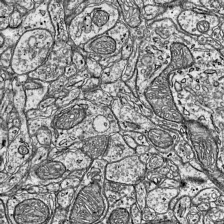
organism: Mouse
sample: Visual Cortex